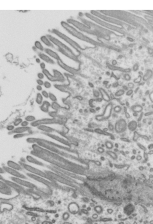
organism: Mouse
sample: Mouse epididymis efferent ductule cilia